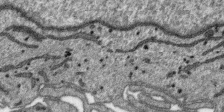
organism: Human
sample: Lung epithelial cells, uninfected (mock) control